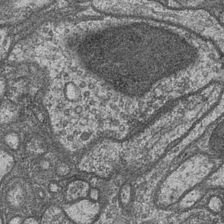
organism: Drosophila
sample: Optic medulla